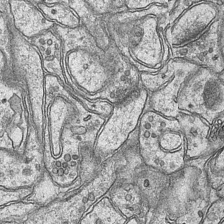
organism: Mouse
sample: CA1 Hippocampus